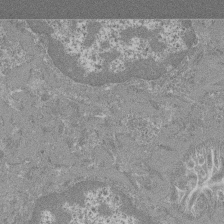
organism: Mouse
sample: Glomerulus